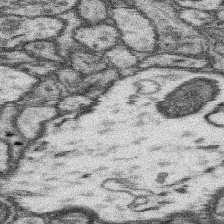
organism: Mouse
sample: Somatosensory cortex neuropil